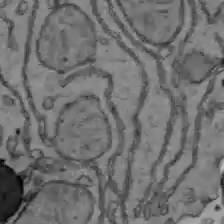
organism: C57BL Mouse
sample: Liver